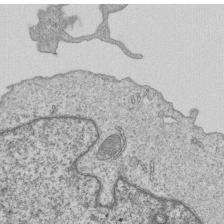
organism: Human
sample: MDA-MB-231 cells